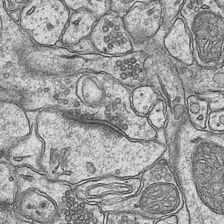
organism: Mouse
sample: CA1 Hippocampus